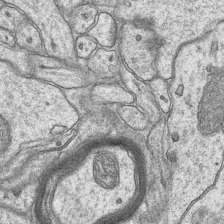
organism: Mouse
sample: CA1 Hippocampus